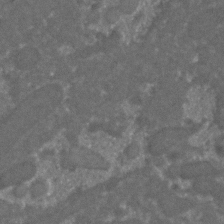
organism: C. elegans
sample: C. elegans embryo